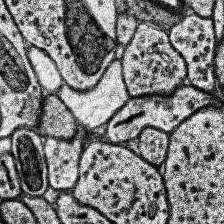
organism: Human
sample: Temporal Lobe